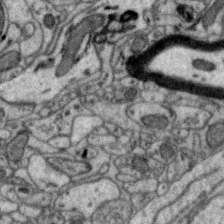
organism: Zebra finch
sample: Brain